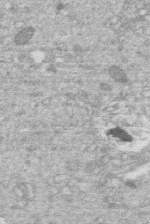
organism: Human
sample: Macrophage cells